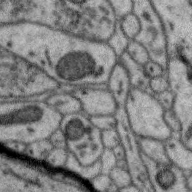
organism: Zebra finch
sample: Brain